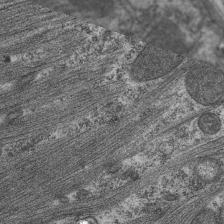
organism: C. elegans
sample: Pharynx